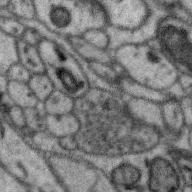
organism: Zebra finch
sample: Brain